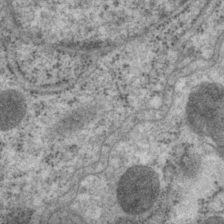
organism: P. pacificus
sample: Pharynx